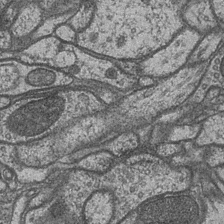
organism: Drosophila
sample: Optic medulla